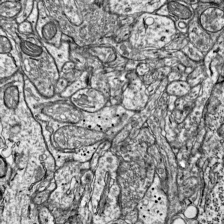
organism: Mouse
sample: Visual Cortex